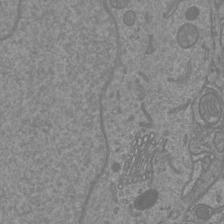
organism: Mouse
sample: Cortical neurons